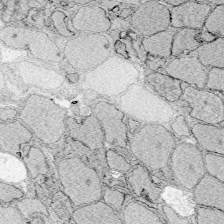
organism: Zebrafish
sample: Whole-Brain